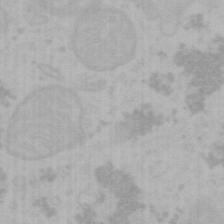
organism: Mouse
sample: Choroid plexus